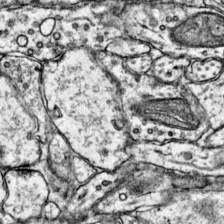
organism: Mouse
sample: Primary visual cortex